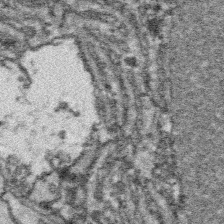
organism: Platynereis dumerilii